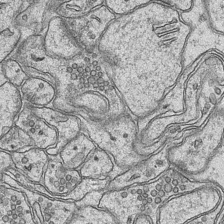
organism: Mouse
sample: CA1 Hippocampus